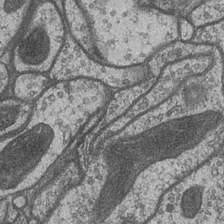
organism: Drosophila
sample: Optic medulla